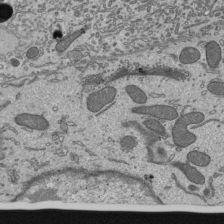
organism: Mouse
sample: Mouse epididymis efferent ductule cilia